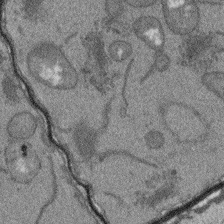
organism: Arabidopsis thaliana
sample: Root tip